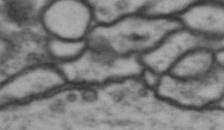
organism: Drosophila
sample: Brain